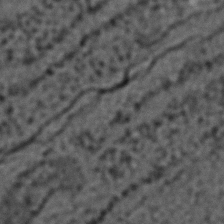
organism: C. elegans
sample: C. elegans embryo